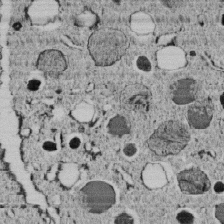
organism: C. elegans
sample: C. elegans embryo early stage